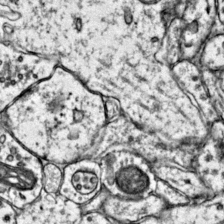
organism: Mouse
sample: Primary visual cortex